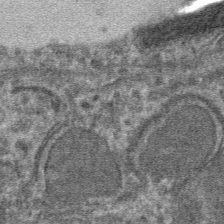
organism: Mouse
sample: Mouse hepatocytes